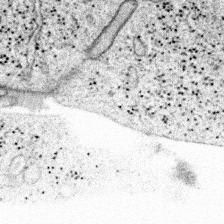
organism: Human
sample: HeLa cells